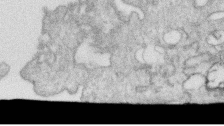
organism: Human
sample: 1205lu cells